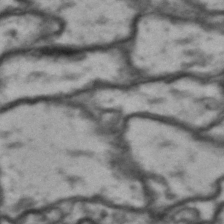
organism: Drosophila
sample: Brain